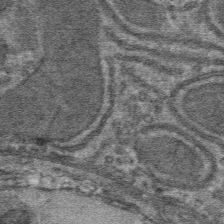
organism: Mouse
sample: Mouse hepatocytes